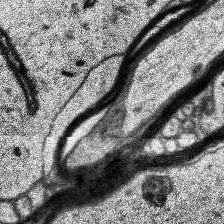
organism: Human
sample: Temporal Lobe